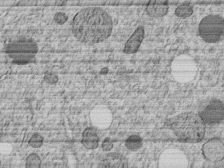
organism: C. elegans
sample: C. elegans embryo early stage